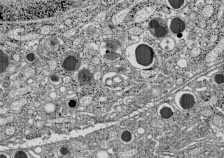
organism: C57BL Mouse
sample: Pancreatic islet